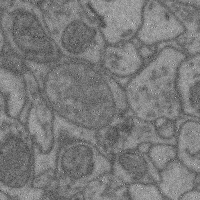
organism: Mouse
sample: Cerebral cortex